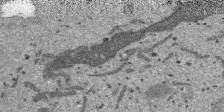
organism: Human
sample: Lung epithelial cells infected with SARS-CoV-2